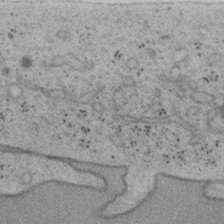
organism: Human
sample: HeLa cells